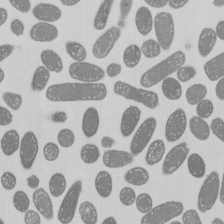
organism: E. coli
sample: Bacterial nucleoid